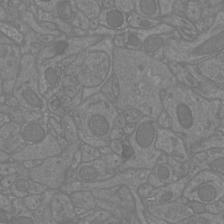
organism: Mouse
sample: Cortical neurons